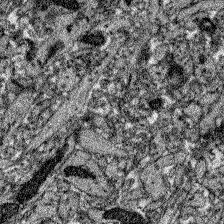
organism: Zebrafish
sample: Larval olfactory bulb